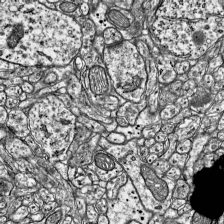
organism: Mouse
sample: Visual Cortex